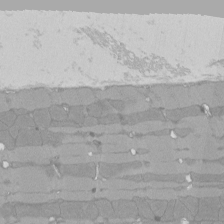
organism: Rat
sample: Left ventricle